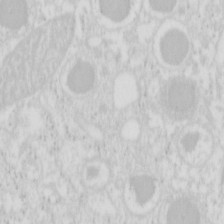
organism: Mouse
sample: Pancreas